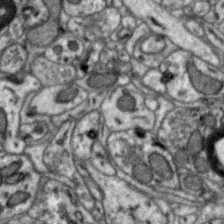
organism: Zebra finch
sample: Brain